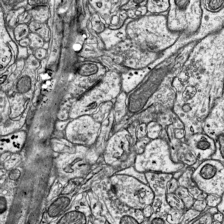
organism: Mouse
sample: Visual Cortex